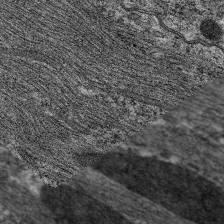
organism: C. elegans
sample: Pharynx